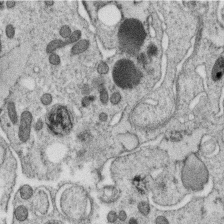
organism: C. elegans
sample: C. elegans oocyte; sperm cells